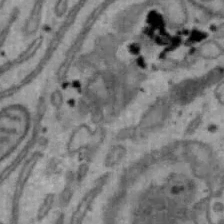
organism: Mouse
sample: Liver